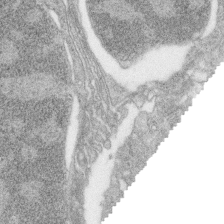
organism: Zebrafish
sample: synaptic ribbons in rod cells and cone cells